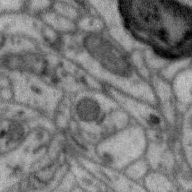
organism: Zebra finch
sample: Brain